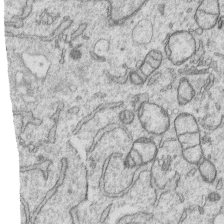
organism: Human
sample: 1205lu cells